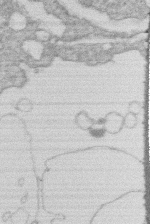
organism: Human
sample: Macrophage cells